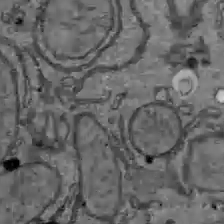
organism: C57BL Mouse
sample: Liver